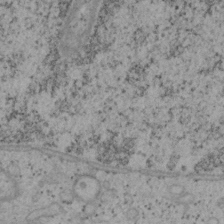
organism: Human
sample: HeLa cells